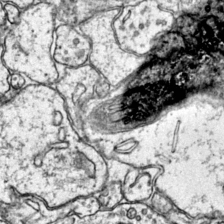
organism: Mouse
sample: Primary visual cortex